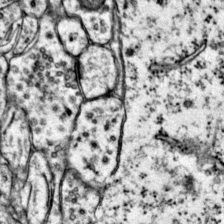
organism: Mouse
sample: Primary visual cortex